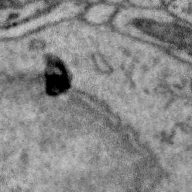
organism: Zebra finch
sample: Brain